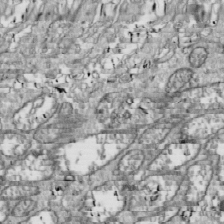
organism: Drosophila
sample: Cell division; meiosis; drosophila spermatocytes